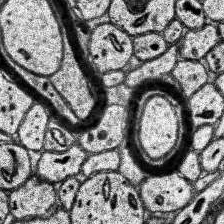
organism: Human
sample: Temporal Lobe